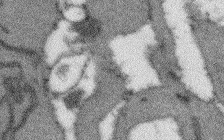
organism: Arabidopsis thaliana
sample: Root tip